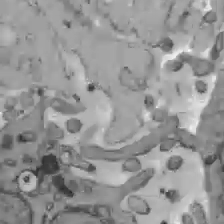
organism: C57BL Mouse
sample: Liver